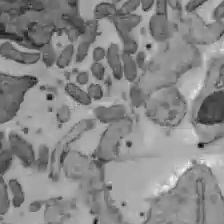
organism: C57BL Mouse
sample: Liver